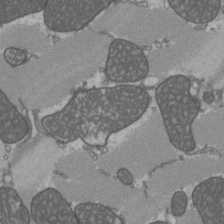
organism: C57BL Mouse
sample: Heart